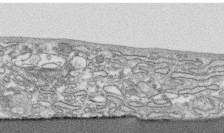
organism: Human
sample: CRL-1474